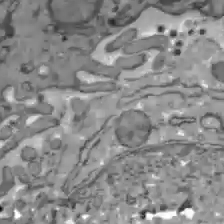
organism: C57BL Mouse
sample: Liver